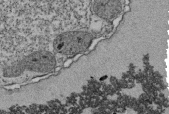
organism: Tetrahymena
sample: Cilia in tetrahymena